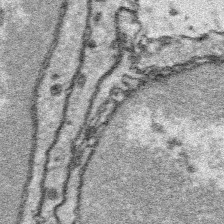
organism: Platynereis dumerilii